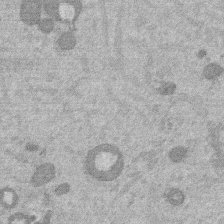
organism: Mouse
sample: Dividing mouse embryo 1 cell stage